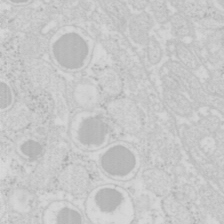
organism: Mouse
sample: Pancreas